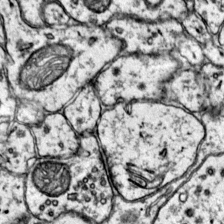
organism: Mouse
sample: Primary visual cortex